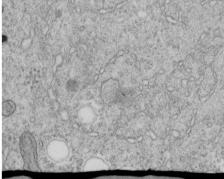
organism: C. elegans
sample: C. elegans embryo early stage